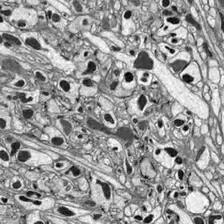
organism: Drosophila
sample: Optic lobe